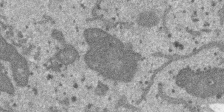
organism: Human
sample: Lung epithelial cells infected with SARS-CoV-2